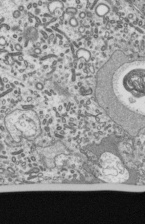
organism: Mouse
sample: Mouse epididymis efferent ductule cilia